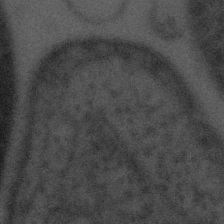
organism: Tuwongella immobilis